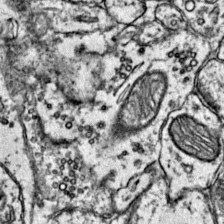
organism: Mouse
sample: Primary visual cortex